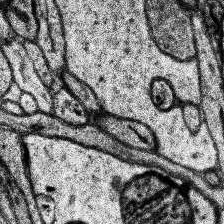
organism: Human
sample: Temporal Lobe